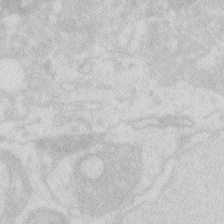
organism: Zebrafish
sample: Macrophage